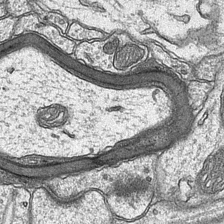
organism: Mouse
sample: CA1 Hippocampus